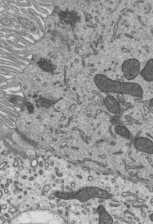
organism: Mouse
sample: Mouse epididymis efferent ductule cilia